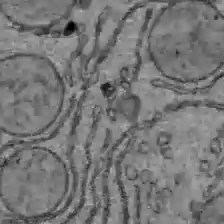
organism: C57BL Mouse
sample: Liver